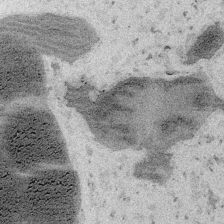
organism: Embia sp.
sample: Silk gland